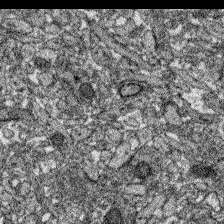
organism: Zebrafish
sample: Larval olfactory bulb